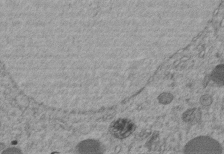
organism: C. elegans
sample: C. elegans embryo early stage